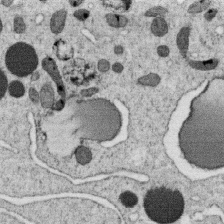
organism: C. elegans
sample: C. elegans oocyte; sperm cells